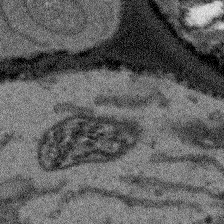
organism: Arabidopsis thaliana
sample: Root tip